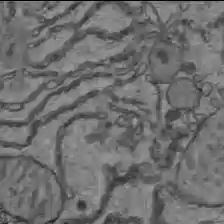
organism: C57BL Mouse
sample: Liver